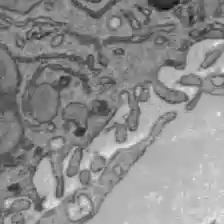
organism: C57BL Mouse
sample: Liver